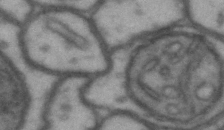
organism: Drosophila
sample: Brain